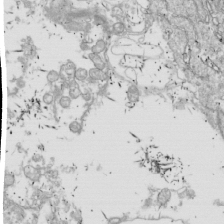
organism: Drosophila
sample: Cell division; meiosis; drosophila spermatocytes